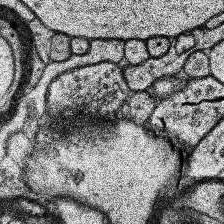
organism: Human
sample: Temporal Lobe